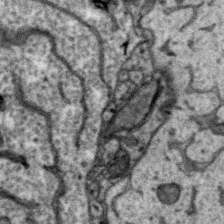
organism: Zebra finch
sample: Brain